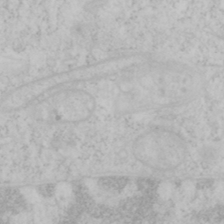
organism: Mouse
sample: OT-I killer T cells with ID8 ovarian cancer cells